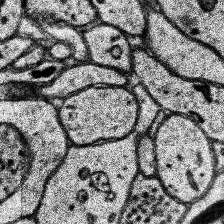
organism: Human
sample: Temporal Lobe